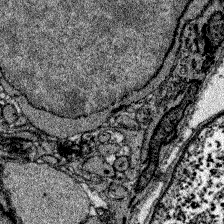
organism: Zebrafish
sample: Larval olfactory bulb